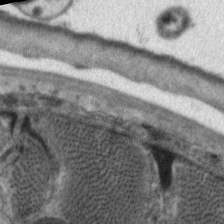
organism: C. elegans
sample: Pharynx